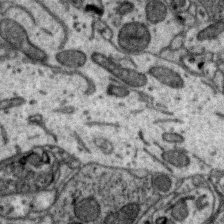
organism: Zebra finch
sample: Brain